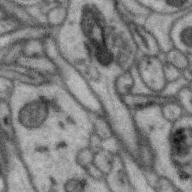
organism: Zebra finch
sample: Brain